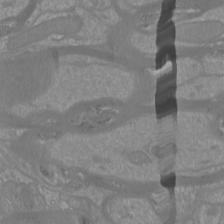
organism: Mouse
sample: Cortical neurons